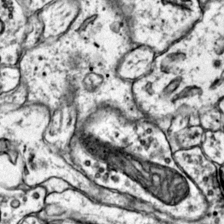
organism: Mouse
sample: Primary visual cortex